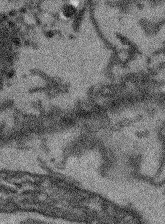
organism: Arabidopsis thaliana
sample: Root tip